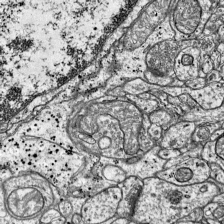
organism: Mouse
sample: Visual Cortex